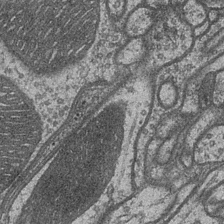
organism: Drosophila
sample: Optic medulla